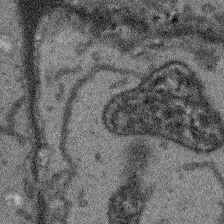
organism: Arabidopsis thaliana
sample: Root tip